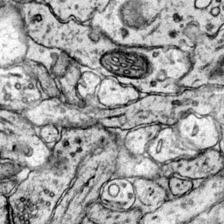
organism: Mouse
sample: Primary visual cortex